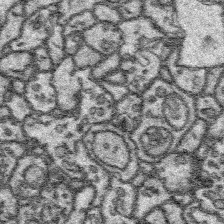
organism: Platynereis dumerilii